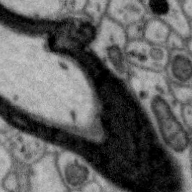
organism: Zebra finch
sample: Brain